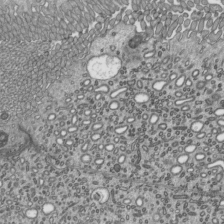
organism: Mouse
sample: Mouse epididymis efferent ductule cilia